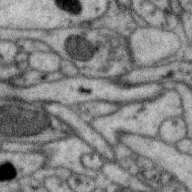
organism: Zebra finch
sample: Brain